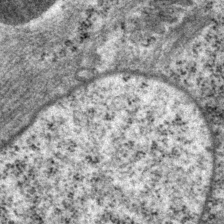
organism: P. pacificus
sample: Pharynx